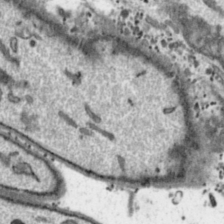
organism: Toxoplasma gondii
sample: Parasites in a vacuole inside a host cell